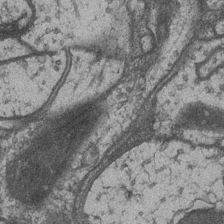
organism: Drosophila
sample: Optic medulla